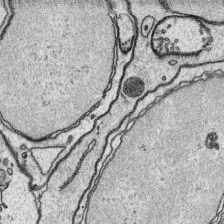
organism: Platynereis dumerilii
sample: Parapodia